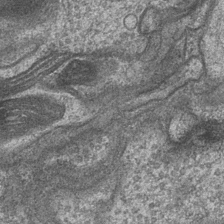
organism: Drosophila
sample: Optic medulla